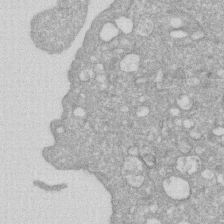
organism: Human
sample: HIV infected U937 cells